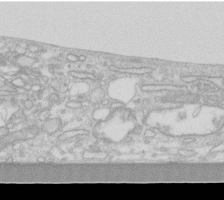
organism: Human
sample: Fibroblast cells